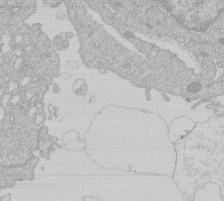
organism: Human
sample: Macrophage cells